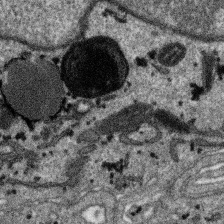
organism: Human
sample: Lung epithelial cells infected with SARS-CoV-2